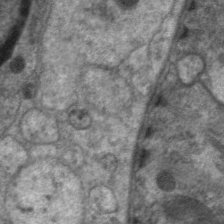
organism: C. elegans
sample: Pharynx